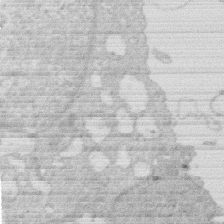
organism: Human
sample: Macrophage cells